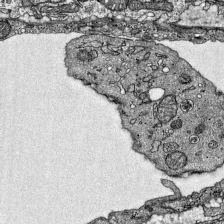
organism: Mouse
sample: Visual Cortex